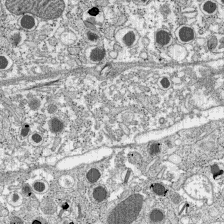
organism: C57BL Mouse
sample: Pancreatic islet